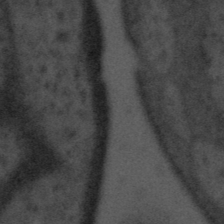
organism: Tuwongella immobilis